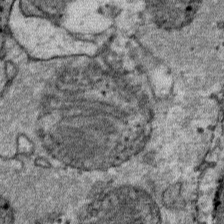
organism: Mouse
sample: Mouse Salivary gland